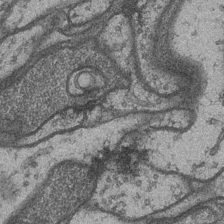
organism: Drosophila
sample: Optic medulla